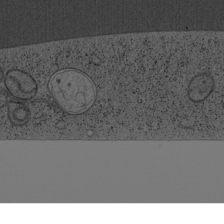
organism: African green monkey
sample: COS-7 cells